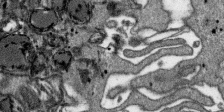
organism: Human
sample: Lung epithelial cells, uninfected (mock) control